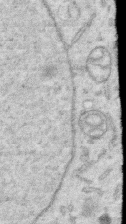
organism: Human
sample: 1205lu cells